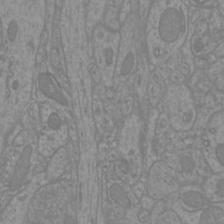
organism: Mouse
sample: Cortical neurons